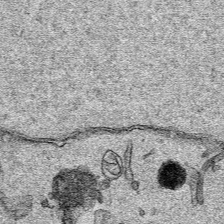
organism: Human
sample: Mitochondria in HCT116 cells